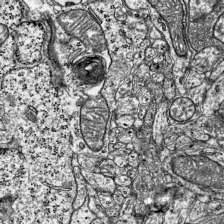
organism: Mouse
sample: Visual Cortex